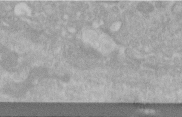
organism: Human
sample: Centriole in RPE cells